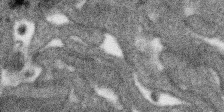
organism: Human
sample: Lung epithelial cells infected with SARS-CoV-2